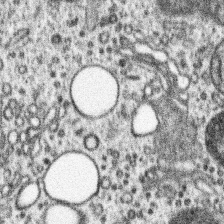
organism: Human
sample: HeLa cells